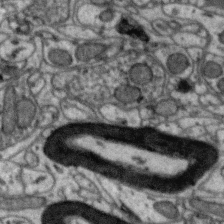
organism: Zebra finch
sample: Brain